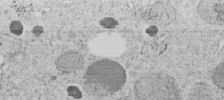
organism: C. elegans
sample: C. elegans embryo early stage